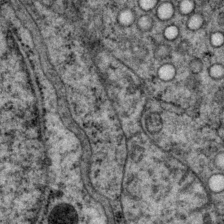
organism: P. pacificus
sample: Pharynx